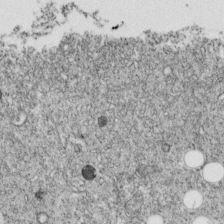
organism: C. elegans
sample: C. elegans embryo early stage